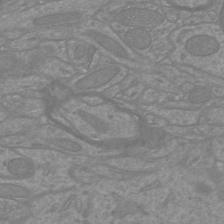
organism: Mouse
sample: Cortical neurons